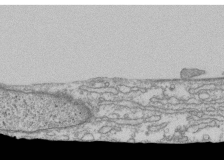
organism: Human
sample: Fibroblast cells